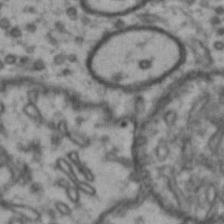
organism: Drosophila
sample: Brain